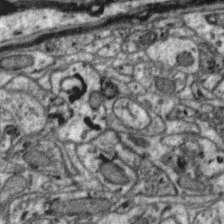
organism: Zebra finch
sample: Brain